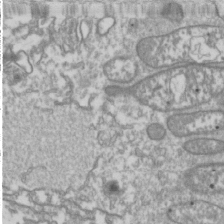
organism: Drosophila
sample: Cell division; meiosis; drosophila spermatocytes